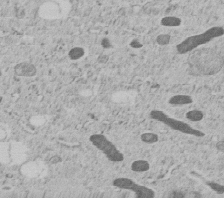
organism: C. elegans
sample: C. elegans embryo early stage